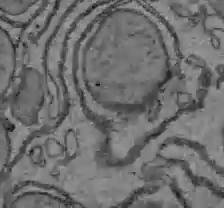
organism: C57BL Mouse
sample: Liver